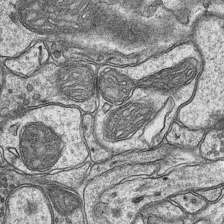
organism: Mouse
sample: CA1 Hippocampus